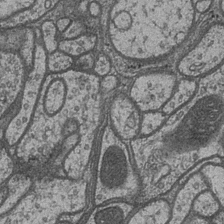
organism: Drosophila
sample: Optic medulla